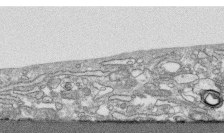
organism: Human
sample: CRL-1474